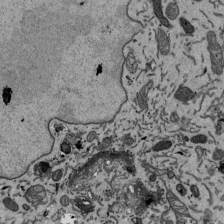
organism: Mouse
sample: ED-1 cell nuclei; centrioles